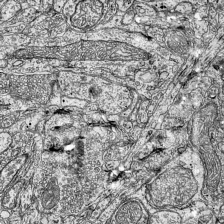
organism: Mouse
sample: Visual Cortex